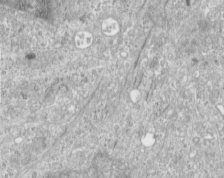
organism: Human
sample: Centriole in RPE cells